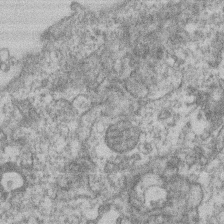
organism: Mouse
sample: T cell stromal cell synapse